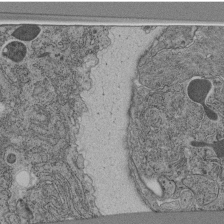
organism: C. elegans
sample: C. elegans pharynx